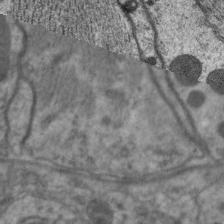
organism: C. elegans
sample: Pharynx